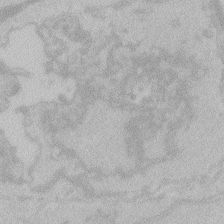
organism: Zebrafish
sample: Macrophage infected with Toxoplasma gondii